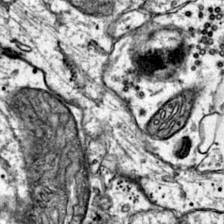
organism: Mouse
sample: Primary visual cortex